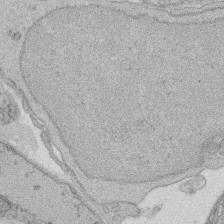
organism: Rat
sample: Salivary granule